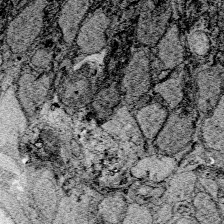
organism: Zebrafish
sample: Whole-Brain